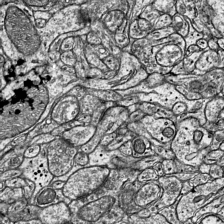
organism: Mouse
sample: Visual Cortex